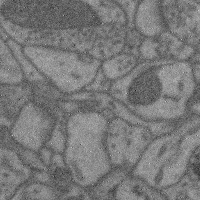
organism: Mouse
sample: Cerebral cortex